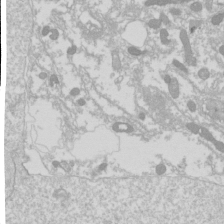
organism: Drosophila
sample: Cell division; meiosis; drosophila spermatocytes